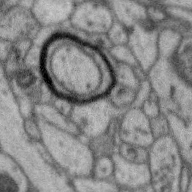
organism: Zebra finch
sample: Brain